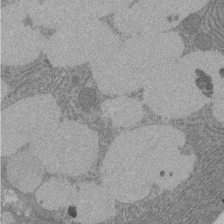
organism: Rat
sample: Salivary granule